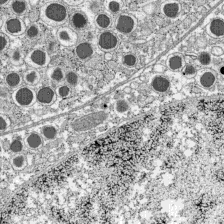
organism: C57BL Mouse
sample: Pancreatic islet